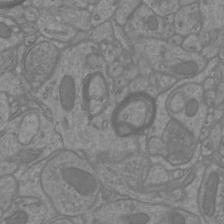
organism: Mouse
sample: Cortical neurons